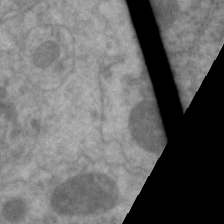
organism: C. elegans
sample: Pharynx